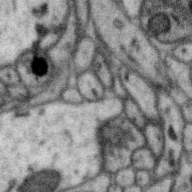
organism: Zebra finch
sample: Brain